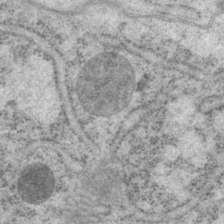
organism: P. pacificus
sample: Pharynx